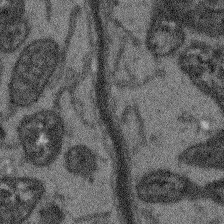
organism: Arabidopsis thaliana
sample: Root tip